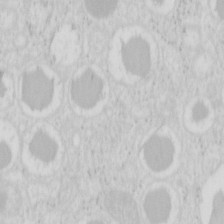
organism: Mouse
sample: Pancreas